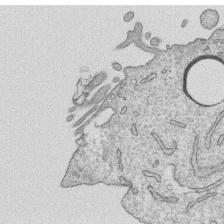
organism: Human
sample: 1205lu cells